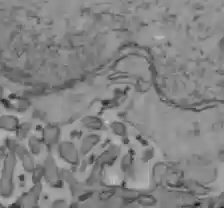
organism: C57BL Mouse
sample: Liver